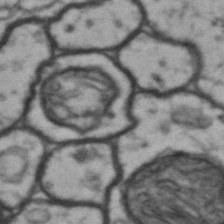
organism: Drosophila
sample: Brain